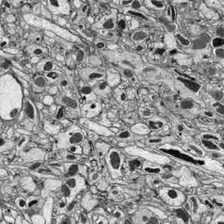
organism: Drosophila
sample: Optic lobe